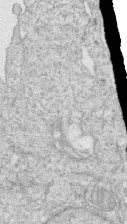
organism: Human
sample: HeLa cell HIV synapse